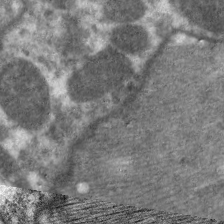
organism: C. elegans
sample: Pharynx